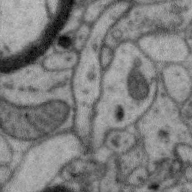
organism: Zebra finch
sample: Brain